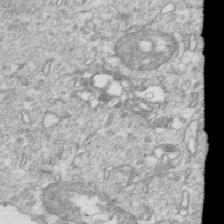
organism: Mouse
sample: Activated OT-1 CD8+ T cells